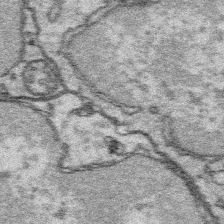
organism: Platynereis dumerilii